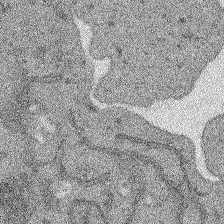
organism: Human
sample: HeLa cells